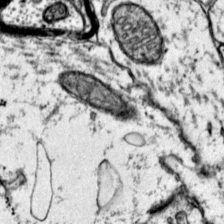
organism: Mouse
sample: Primary visual cortex